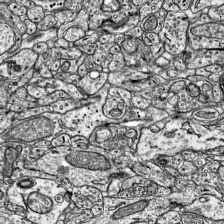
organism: Mouse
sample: Visual Cortex